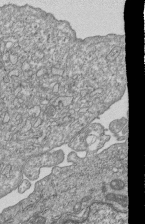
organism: Human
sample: MDA-MB-231 cells